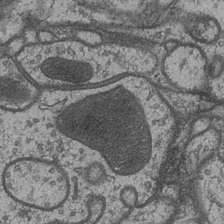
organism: Drosophila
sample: Optic medulla